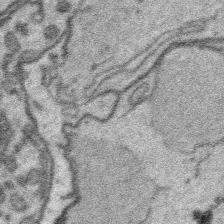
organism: Platynereis dumerilii